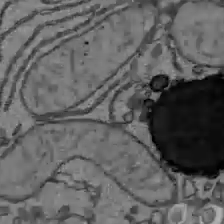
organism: C57BL Mouse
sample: Liver